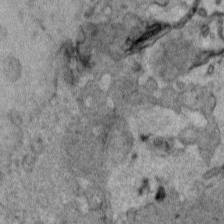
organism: Human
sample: Mitochondria in HCT116 cells